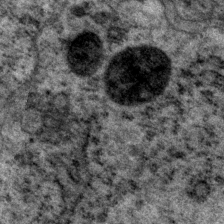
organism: P. pacificus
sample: Pharynx